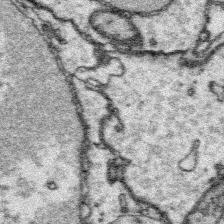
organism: Platynereis dumerilii